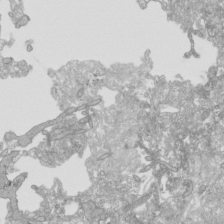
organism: Human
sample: Mitochondria in HCT116 cells